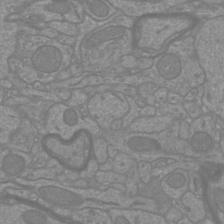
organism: Mouse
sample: Cortical neurons